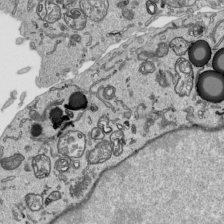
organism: Human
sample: Mitochondria in HCT116 cells